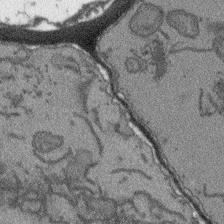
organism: Arabidopsis thaliana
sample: Root tip